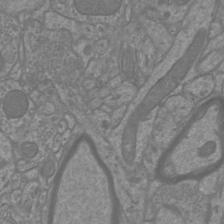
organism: Mouse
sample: Cortical neurons